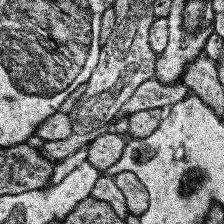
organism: Human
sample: Temporal Lobe